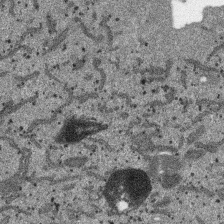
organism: Human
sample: Lung epithelial cells infected with SARS-CoV-2